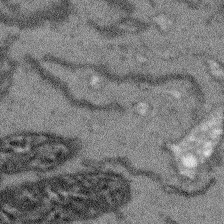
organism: Arabidopsis thaliana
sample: Root tip